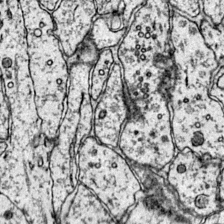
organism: Mouse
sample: Primary visual cortex